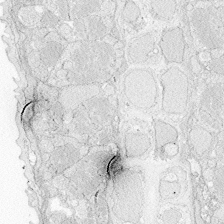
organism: Zebrafish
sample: Whole-Brain